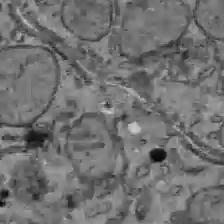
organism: C57BL Mouse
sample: Liver